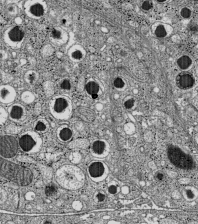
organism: C57BL Mouse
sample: Pancreatic islet